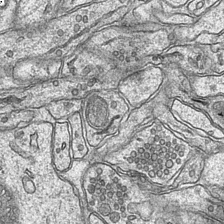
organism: Mouse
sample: CA1 Hippocampus